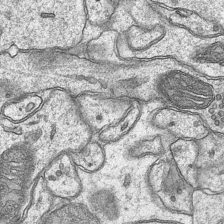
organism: Mouse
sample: CA1 Hippocampus